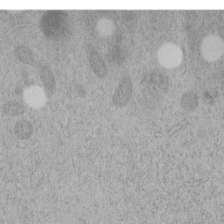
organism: C. elegans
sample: C. elegans embryo early stage